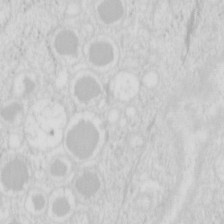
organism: Mouse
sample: Pancreas